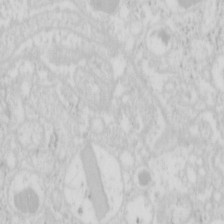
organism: Mouse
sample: Pancreas